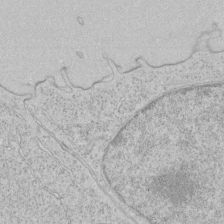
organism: Human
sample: Mitochondria in HCT116 cells